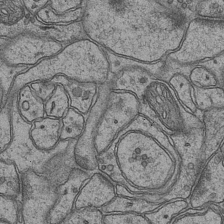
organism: Mouse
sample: CA1 Hippocampus